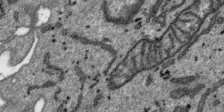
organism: Human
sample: Lung epithelial cells, uninfected (mock) control